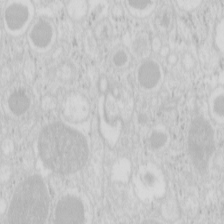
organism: Mouse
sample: Pancreas